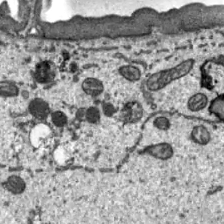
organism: Human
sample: HeLa cells